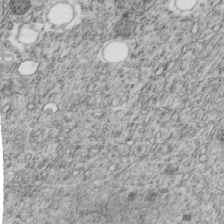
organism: C. elegans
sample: C. elegans embryo early stage